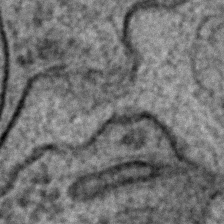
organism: C. elegans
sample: C. elegans embryo